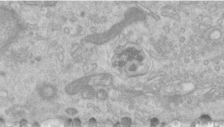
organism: Human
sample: Centriole in RPE cells